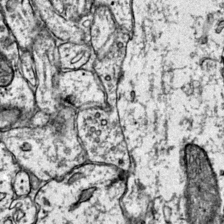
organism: Mouse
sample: Primary visual cortex